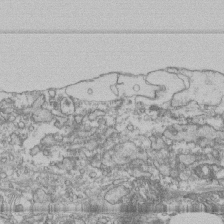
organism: Human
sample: Fibroblast cells